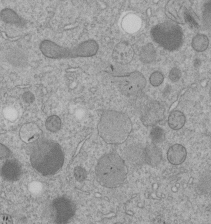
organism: C. elegans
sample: C. elegans embryo early stage